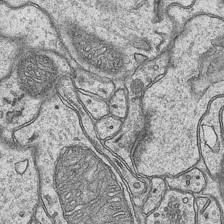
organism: Mouse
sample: CA1 Hippocampus